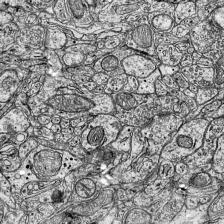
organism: Mouse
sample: Visual Cortex